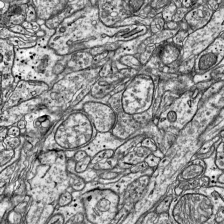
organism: Mouse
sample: Visual Cortex